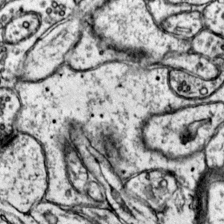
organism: Mouse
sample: Primary visual cortex